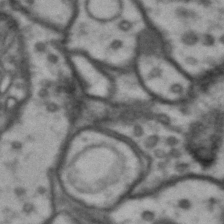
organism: Drosophila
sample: Brain